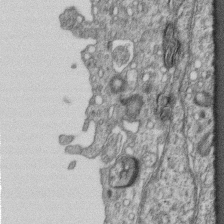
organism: Mouse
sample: Centriole in ependymal cells